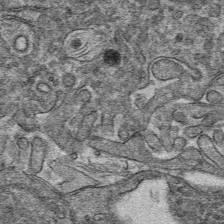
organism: Mouse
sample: Mouse hepatocytes